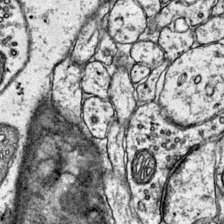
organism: Mouse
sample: Primary visual cortex